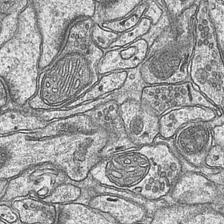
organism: Mouse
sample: CA1 Hippocampus